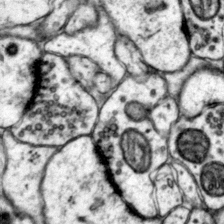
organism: Mouse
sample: Primary visual cortex